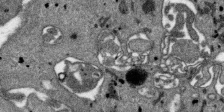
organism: Human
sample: Lung epithelial cells, uninfected (mock) control